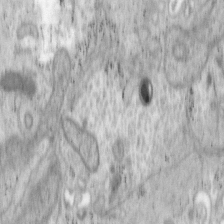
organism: Human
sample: HeLa cells